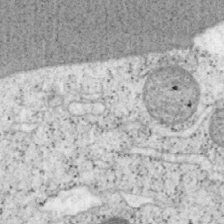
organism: Mouse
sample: OT-I killer T cells with ID8 ovarian cancer cells